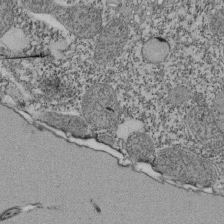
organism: Tetrahymena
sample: Cilia in tetrahymena